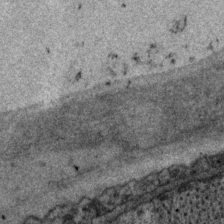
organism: P. pacificus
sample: Pharynx